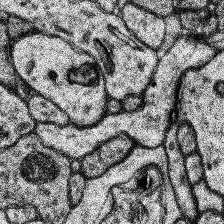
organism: Human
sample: Temporal Lobe